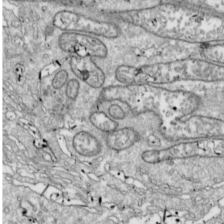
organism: Drosophila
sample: Cell division; meiosis; drosophila spermatocytes